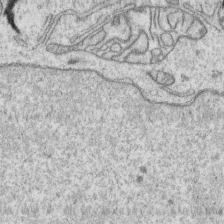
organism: Human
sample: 1205lu cells